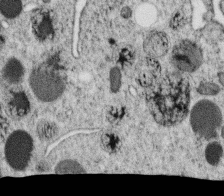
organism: C. elegans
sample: C. elegans oocyte; sperm cells